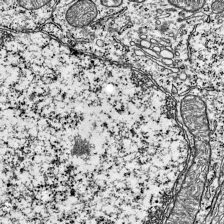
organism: Mouse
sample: Visual Cortex